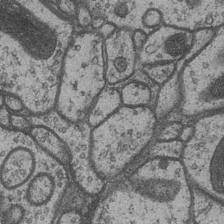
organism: Drosophila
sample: Optic medulla